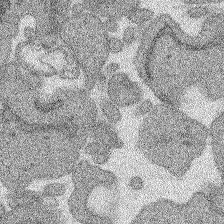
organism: Human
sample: HeLa cells